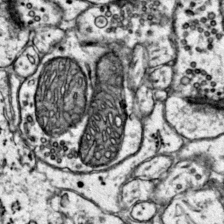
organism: Mouse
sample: Primary visual cortex